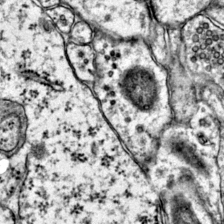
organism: Mouse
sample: Primary visual cortex